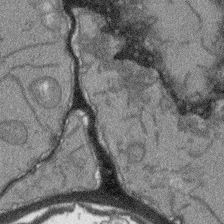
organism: Arabidopsis thaliana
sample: Root tip